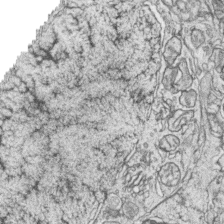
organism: Zebrafish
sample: synaptic ribbons in rod cells and cone cells